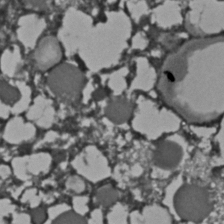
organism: C. elegans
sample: C. elegans embryo